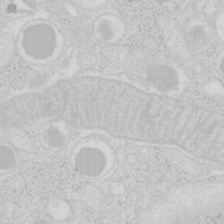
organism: Mouse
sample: Pancreas